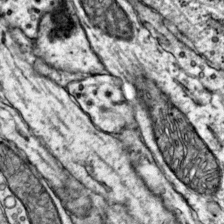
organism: Mouse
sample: Primary visual cortex